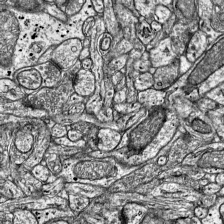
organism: Mouse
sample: Visual Cortex